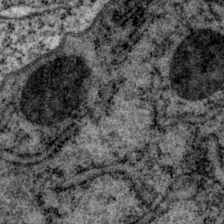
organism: P. pacificus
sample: Pharynx